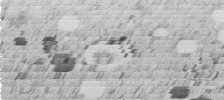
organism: C. elegans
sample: C. elegans embryo early stage